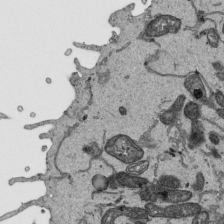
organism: Human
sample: Mitochondria in HCT116 cells